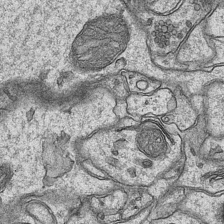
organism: Mouse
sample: CA1 Hippocampus